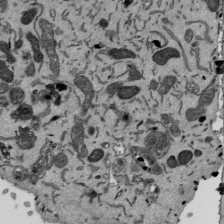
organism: Mouse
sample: ED-1 cell nuclei; centrioles